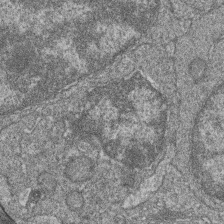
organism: Zebrafish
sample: Cilia; retinal pigment epithelium